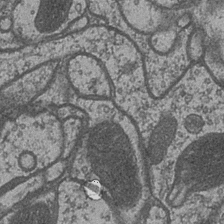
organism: Drosophila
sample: Optic medulla